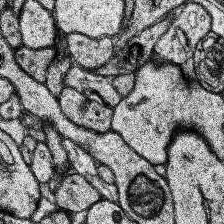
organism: Human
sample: Temporal Lobe